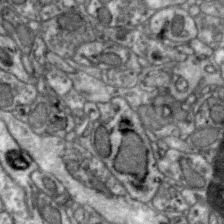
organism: Zebra finch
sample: Brain